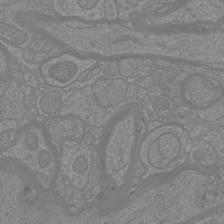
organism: Mouse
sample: Cortical neurons